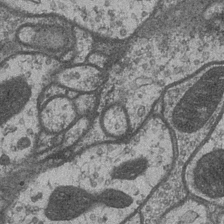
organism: Drosophila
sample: Optic medulla